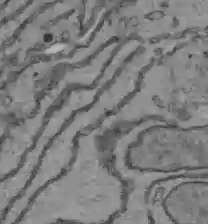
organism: C57BL Mouse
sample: Liver